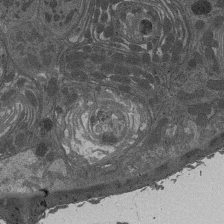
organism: Drosophila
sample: Antenna